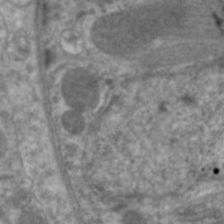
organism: C. elegans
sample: Pharynx